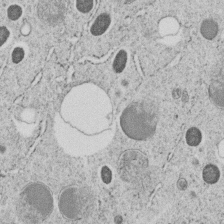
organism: C. elegans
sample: C. elegans embryo early stage